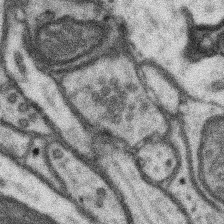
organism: Mouse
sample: Somatosensory cortex neuropil